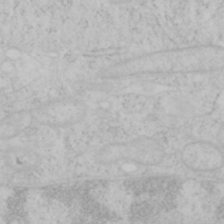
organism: Mouse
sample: OT-I killer T cells with ID8 ovarian cancer cells